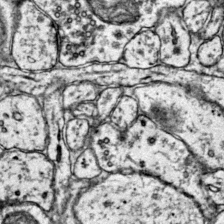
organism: Mouse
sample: Primary visual cortex